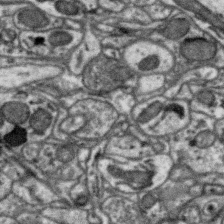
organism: Zebra finch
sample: Brain